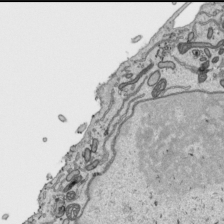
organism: Human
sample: Mitochondria in HCT116 cells